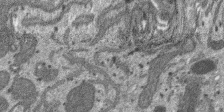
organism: Human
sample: Lung epithelial cells infected with SARS-CoV-2